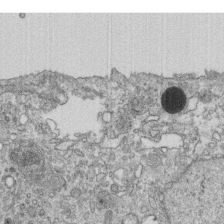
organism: Human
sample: HeLa cell HIV synapse